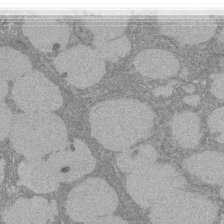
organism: Rat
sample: Salivary granule